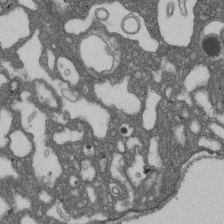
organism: Drosophila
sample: Nephrocyte